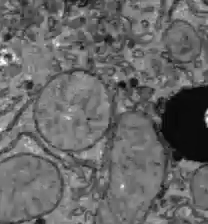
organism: C57BL Mouse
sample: Liver